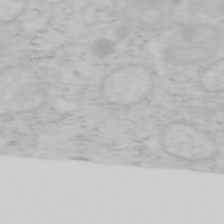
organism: Mouse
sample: OT-I killer T cells with ID8 ovarian cancer cells